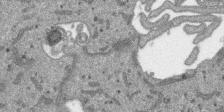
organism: Human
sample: Lung epithelial cells infected with SARS-CoV-2